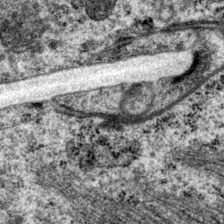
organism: P. pacificus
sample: Pharynx